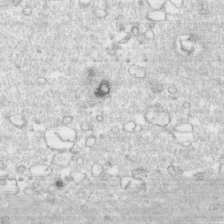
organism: Human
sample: CRL-1474